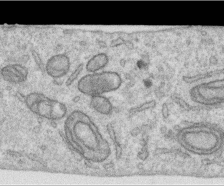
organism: Human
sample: Centriole in RPE cells